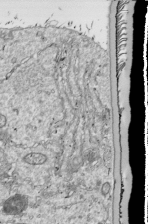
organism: Drosophila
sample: Cell division; meiosis; drosophila spermatocytes